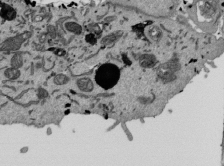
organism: Mouse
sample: ED-1 cell nuclei; centrioles